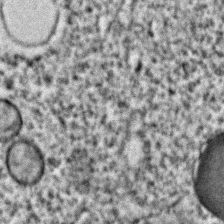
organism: C. elegans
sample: C. elegans embryo